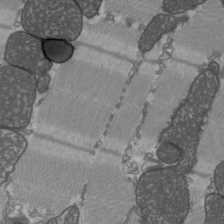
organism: C57BL Mouse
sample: Heart